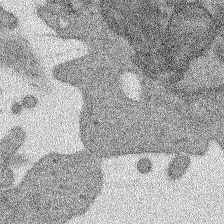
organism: Human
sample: HeLa cells